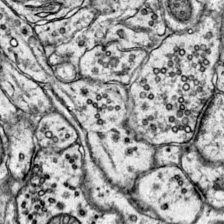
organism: Mouse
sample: Primary visual cortex